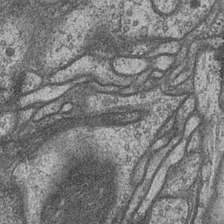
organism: Drosophila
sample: Optic medulla